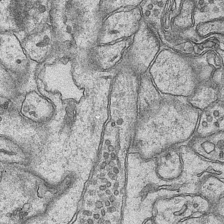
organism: Mouse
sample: CA1 Hippocampus